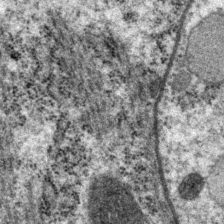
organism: P. pacificus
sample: Pharynx